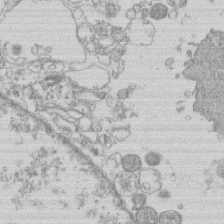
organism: Human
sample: Macrophage cells